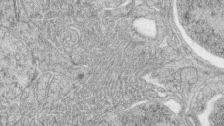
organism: Zebrafish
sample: synaptic ribbons in rod cells and cone cells